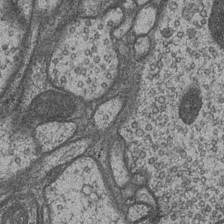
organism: Drosophila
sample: Optic medulla